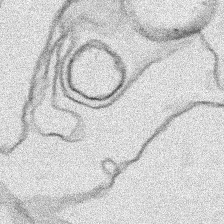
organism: Human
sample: Mitochondria in HCT116 cells